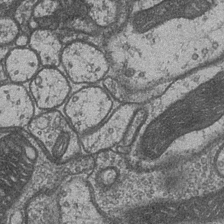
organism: Drosophila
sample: Optic medulla